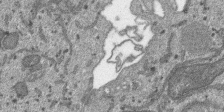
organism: Human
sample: Lung epithelial cells infected with SARS-CoV-2